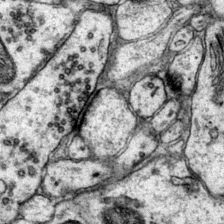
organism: Mouse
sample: Primary visual cortex